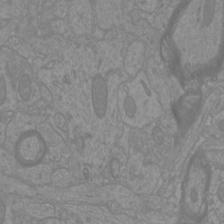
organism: Mouse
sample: Cortical neurons